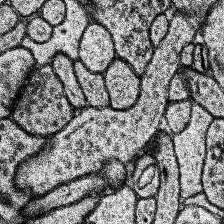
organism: Human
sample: Temporal Lobe